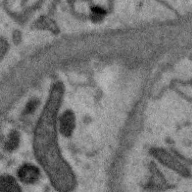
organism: Zebra finch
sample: Brain